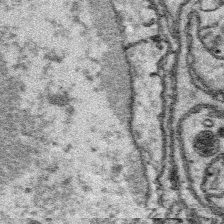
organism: Platynereis dumerilii